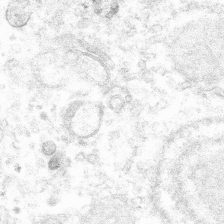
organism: Mouse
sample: Mouse hepatocytes